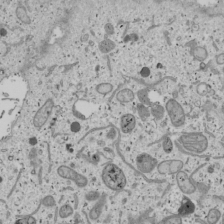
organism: Human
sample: Mitochondria in U2OS cells